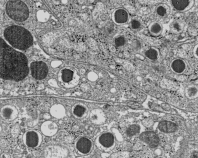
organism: C57BL Mouse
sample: Pancreatic islet